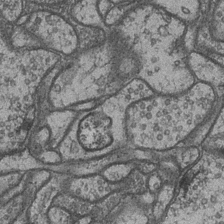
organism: Drosophila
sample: Optic medulla